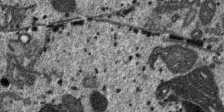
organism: Human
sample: Lung epithelial cells infected with SARS-CoV-2